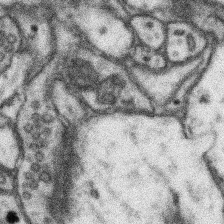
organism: Mouse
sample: Somatosensory cortex neuropil